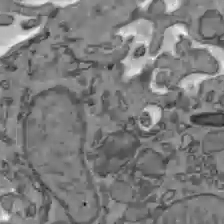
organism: C57BL Mouse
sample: Liver